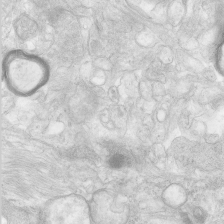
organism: Human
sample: Neocortex